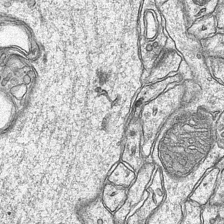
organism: Mouse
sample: CA1 Hippocampus